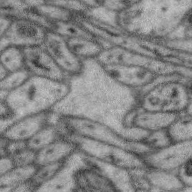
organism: Zebra finch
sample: Brain